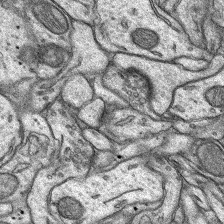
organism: Rat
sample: Hippocampus